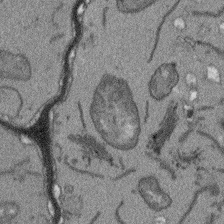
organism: Arabidopsis thaliana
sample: Root tip